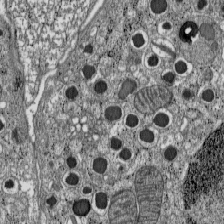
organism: C57BL Mouse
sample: Pancreatic islet